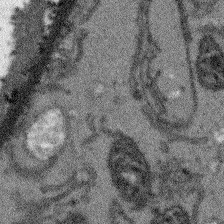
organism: Arabidopsis thaliana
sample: Root tip